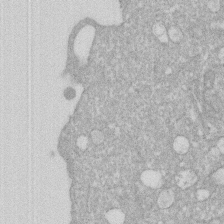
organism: Human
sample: HIV infected U937 cells